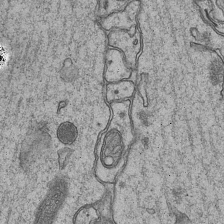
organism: Mouse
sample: CA1 Hippocampus